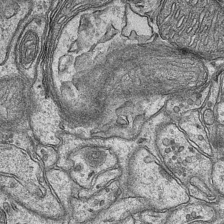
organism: Mouse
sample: CA1 Hippocampus